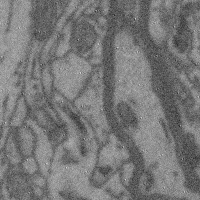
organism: Mouse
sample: Cerebral cortex